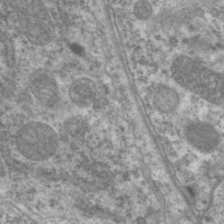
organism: C. elegans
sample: Pharynx